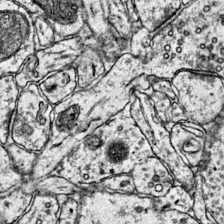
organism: Mouse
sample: Primary visual cortex